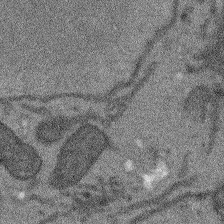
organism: Arabidopsis thaliana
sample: Root tip